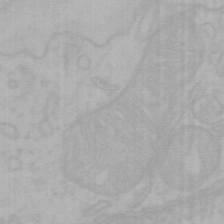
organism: Mouse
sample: Choroid plexus